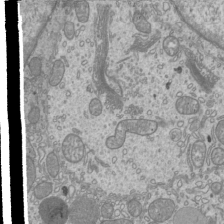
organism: Mouse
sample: Cilia; mouse epididymis